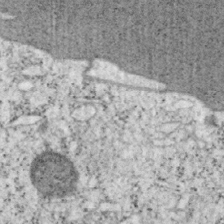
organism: Mouse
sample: OT-I killer T cells with ID8 ovarian cancer cells